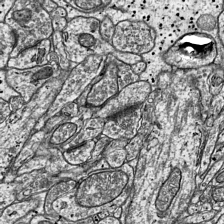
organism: Mouse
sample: Visual Cortex